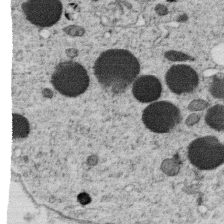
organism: C. elegans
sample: C. elegans oocyte; sperm cells